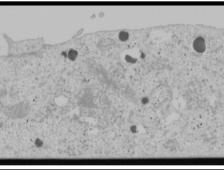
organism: Human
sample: Mitochondria in U2OS cells